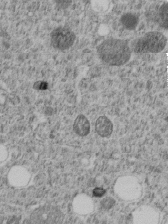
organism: C. elegans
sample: C. elegans embryo early stage